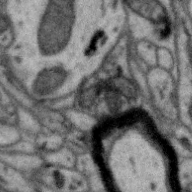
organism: Zebra finch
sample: Brain